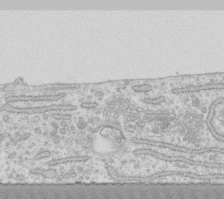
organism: Human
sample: Fibroblast cells